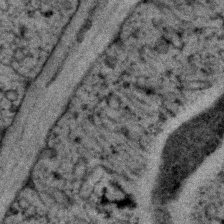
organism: C. elegans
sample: C. elegans embryo